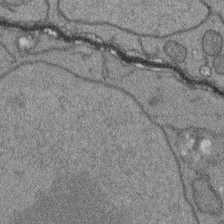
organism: Arabidopsis thaliana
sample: Root tip